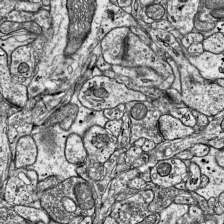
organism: Mouse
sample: Visual Cortex